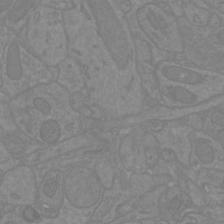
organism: Mouse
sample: Cortical neurons